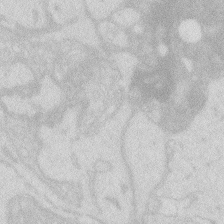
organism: Zebrafish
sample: Macrophage